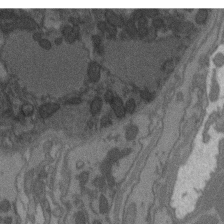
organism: C. elegans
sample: AFD neurons C. elegans